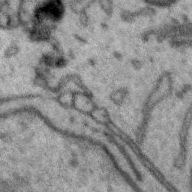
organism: Zebra finch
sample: Brain